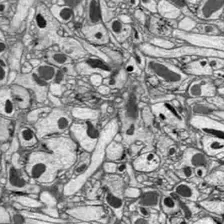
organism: Drosophila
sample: Optic lobe